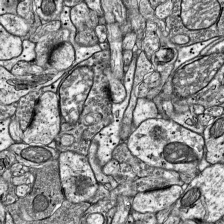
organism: Mouse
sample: Visual Cortex